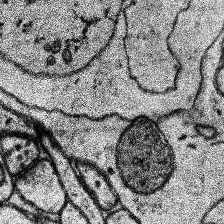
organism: Human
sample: Temporal Lobe